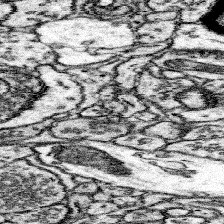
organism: Mouse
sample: Somatosensory cortex neuropil